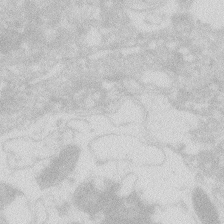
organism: Zebrafish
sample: Macrophage